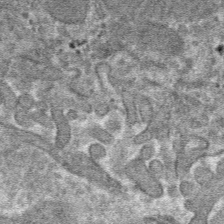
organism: Mouse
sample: Mouse hepatocytes